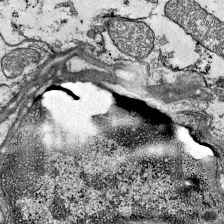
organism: Mouse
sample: Visual Cortex